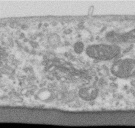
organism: Human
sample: Centriole in RPE cells